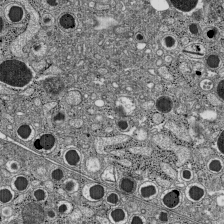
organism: C57BL Mouse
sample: Pancreatic islet